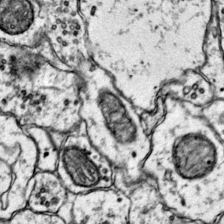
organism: Mouse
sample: Primary visual cortex